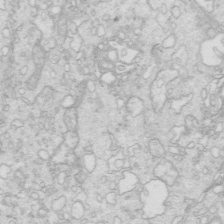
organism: Mouse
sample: Multiciliated cells